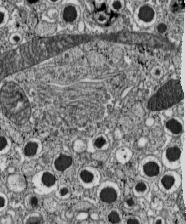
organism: C57BL Mouse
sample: Pancreatic islet